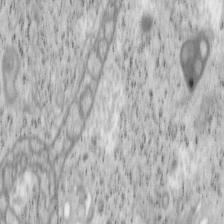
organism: Human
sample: HeLa cells